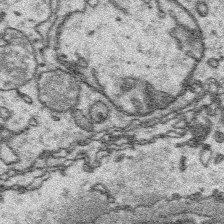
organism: Platynereis dumerilii